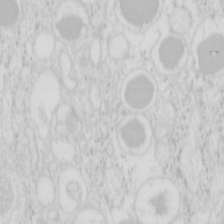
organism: Mouse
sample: Pancreas